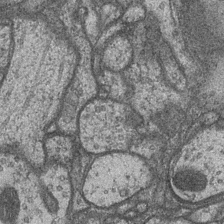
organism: Drosophila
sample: Optic medulla